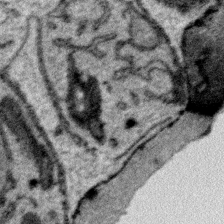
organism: Plasmodium falciparum